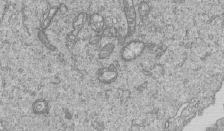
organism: Human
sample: MDA-MB-231 cells